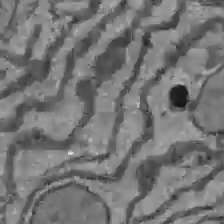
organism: C57BL Mouse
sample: Liver